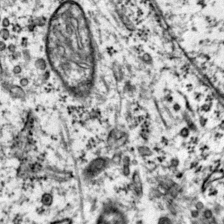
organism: Mouse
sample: Primary visual cortex